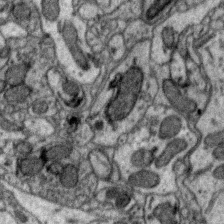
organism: Zebra finch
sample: Brain